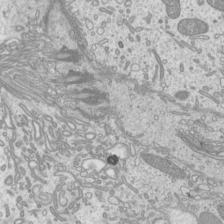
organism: Mouse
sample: Cilia; mouse epididymis